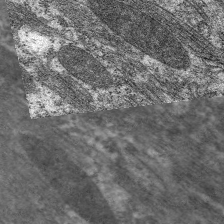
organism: C. elegans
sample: Pharynx